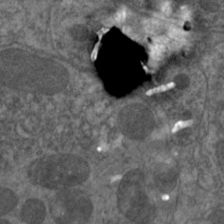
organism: C. elegans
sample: Pharynx